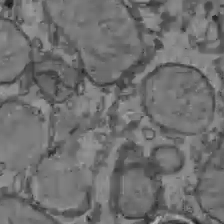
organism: C57BL Mouse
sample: Liver